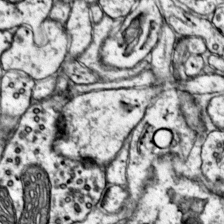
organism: Mouse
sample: Primary visual cortex